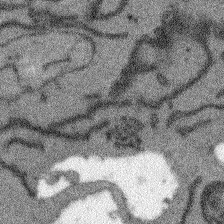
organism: Arabidopsis thaliana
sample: Root tip